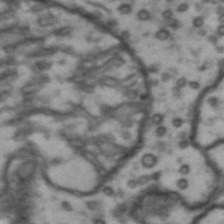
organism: Drosophila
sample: Brain